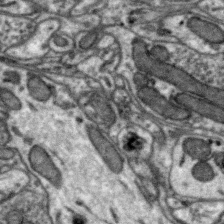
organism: Zebra finch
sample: Brain